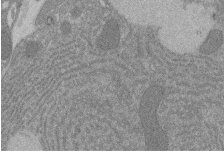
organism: Rat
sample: Salivary granule